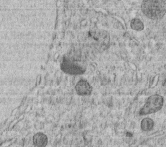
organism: C. elegans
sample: C. elegans embryo early stage